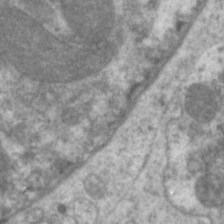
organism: C. elegans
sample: Pharynx